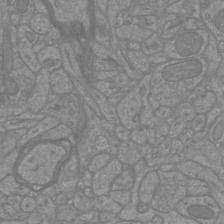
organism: Mouse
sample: Cortical neurons